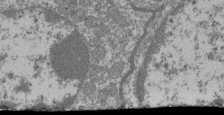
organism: Mouse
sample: Glomerulus